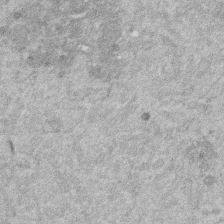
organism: Mouse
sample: Dividing mouse embryo 1 cell stage